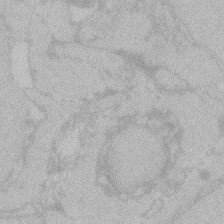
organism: Zebrafish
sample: Macrophage infected with Toxoplasma gondii